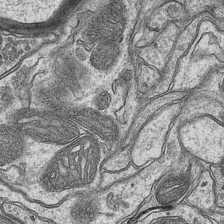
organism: Mouse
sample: CA1 Hippocampus